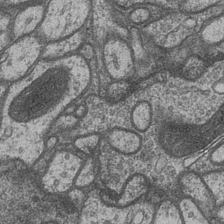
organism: Drosophila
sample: Optic medulla